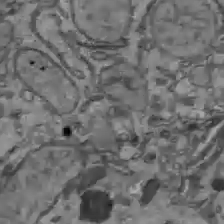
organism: C57BL Mouse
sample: Liver